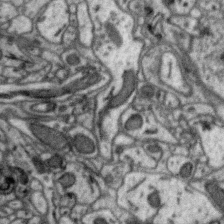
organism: Zebra finch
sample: Brain